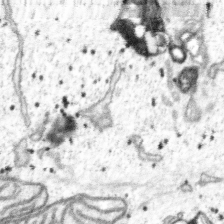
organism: Human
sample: HeLa cells